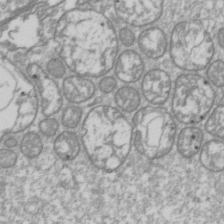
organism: Drosophila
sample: Cell division; meiosis; drosophila spermatocytes